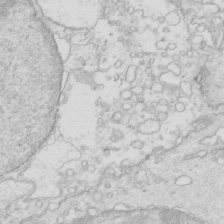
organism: Mouse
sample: Multiciliated cells